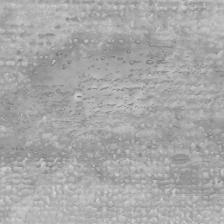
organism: Human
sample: Mitochondria in U2OS cells